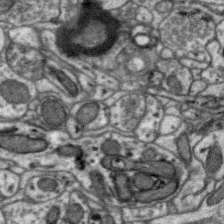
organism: Zebra finch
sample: Brain